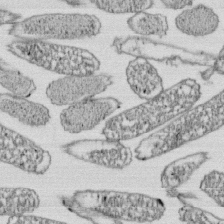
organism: E. coli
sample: Bacterial nucleoid